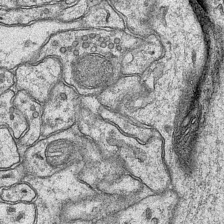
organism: Mouse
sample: CA1 Hippocampus